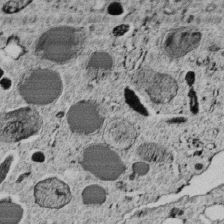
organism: C. elegans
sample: C. elegans embryo early stage